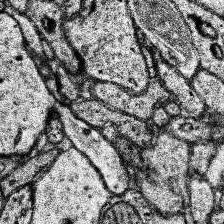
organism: Human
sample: Temporal Lobe